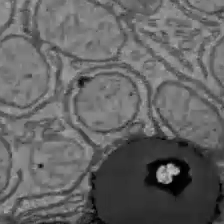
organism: C57BL Mouse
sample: Liver